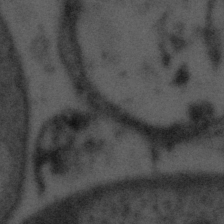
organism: Tuwongella immobilis